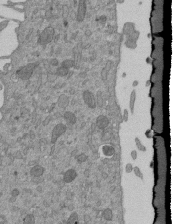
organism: Mouse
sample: ED-1 cell nuclei; centrioles